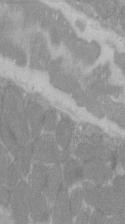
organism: C57BL Mouse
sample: Tibialis anterior muscle cell